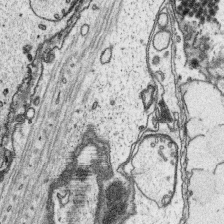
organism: Platynereis dumerilii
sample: Parapodia